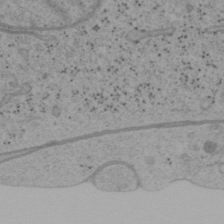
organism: Human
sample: HeLa cells